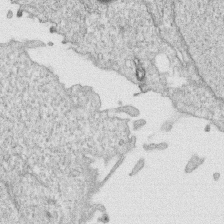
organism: Human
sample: HeLa cell HIV synapse